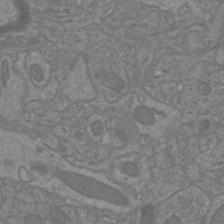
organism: Mouse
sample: Cortical neurons